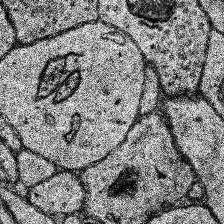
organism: Human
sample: Temporal Lobe